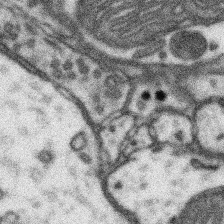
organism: Mouse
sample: Somatosensory cortex neuropil